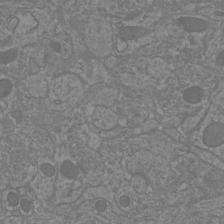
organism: Mouse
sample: Cortical neurons